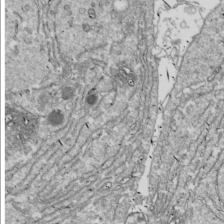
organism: Drosophila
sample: Cell division; meiosis; drosophila spermatocytes